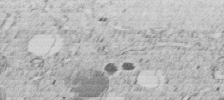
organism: C. elegans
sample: C. elegans embryo early stage